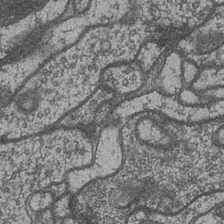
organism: Drosophila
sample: Optic medulla